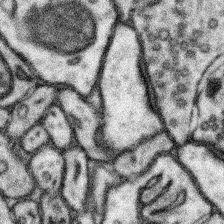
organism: Mouse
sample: Somatosensory cortex neuropil